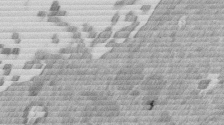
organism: Mouse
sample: Dividing mouse embryo 1 cell stage